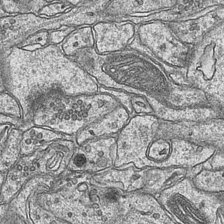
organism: Mouse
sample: CA1 Hippocampus